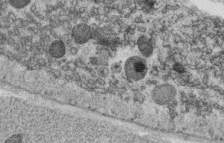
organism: C. elegans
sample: C. elegans oocyte; sperm cells